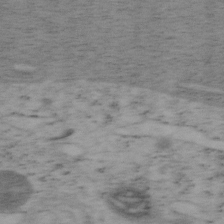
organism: Mouse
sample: OT-I killer T cells with ID8 ovarian cancer cells